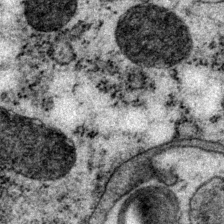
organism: P. pacificus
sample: Pharynx